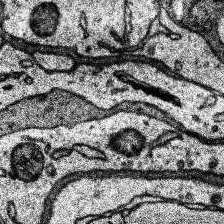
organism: Human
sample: Temporal Lobe